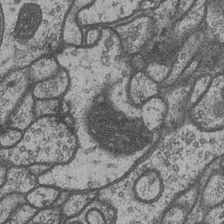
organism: Drosophila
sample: Optic medulla